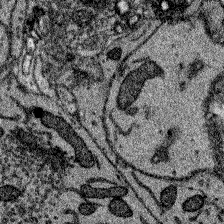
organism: Zebrafish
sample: Larval olfactory bulb